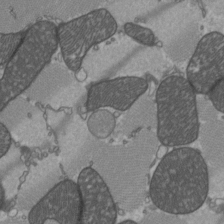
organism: C57BL Mouse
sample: Heart